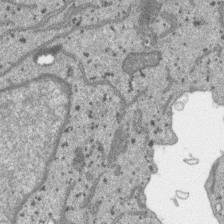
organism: Human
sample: Lung epithelial cells infected with SARS-CoV-2